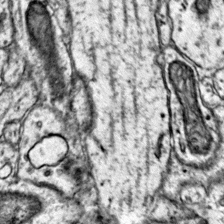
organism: Mouse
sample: Primary visual cortex